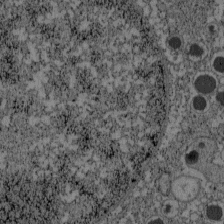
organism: C57BL Mouse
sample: Pancreatic islet